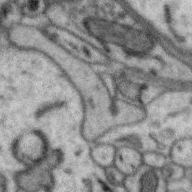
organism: Zebra finch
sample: Brain